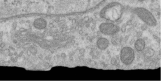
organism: Human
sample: Centriole in RPE cells